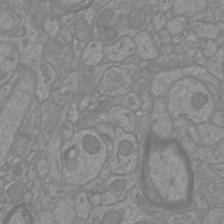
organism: Mouse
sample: Cortical neurons